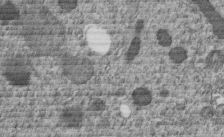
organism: C. elegans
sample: C. elegans embryo early stage